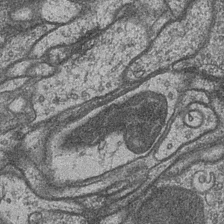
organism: Drosophila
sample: Optic medulla